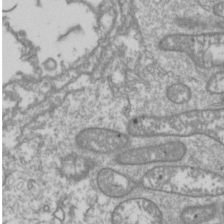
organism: Drosophila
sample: Cell division; meiosis; drosophila spermatocytes